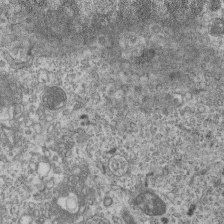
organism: Mouse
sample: Centriole in ependymal cells